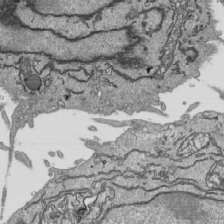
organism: Human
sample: Mitochondria in HCT116 cells